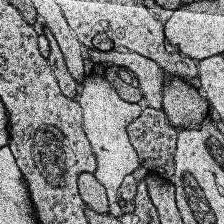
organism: Human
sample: Temporal Lobe